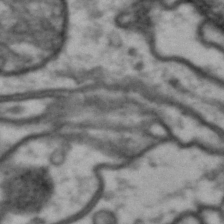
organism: Drosophila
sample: Brain